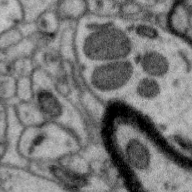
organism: Zebra finch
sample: Brain